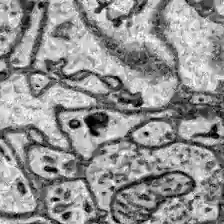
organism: Zebrafish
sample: Brain